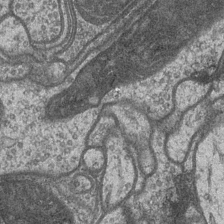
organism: Drosophila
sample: Optic medulla